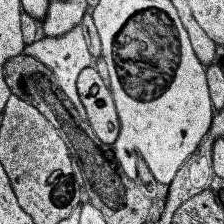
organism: Human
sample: Temporal Lobe